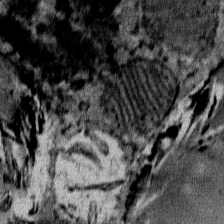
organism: Mouse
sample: Mouse Salivary gland